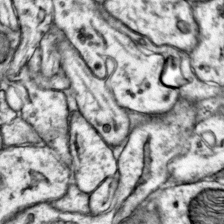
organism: Mouse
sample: Primary visual cortex